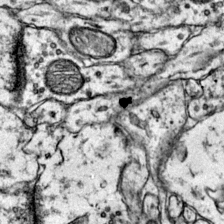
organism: Mouse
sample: Primary visual cortex